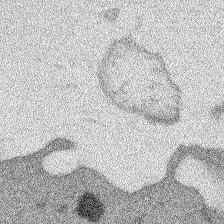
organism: Human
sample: HeLa cells